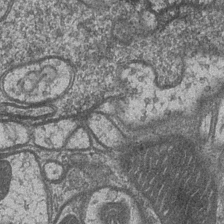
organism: Drosophila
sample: Optic medulla